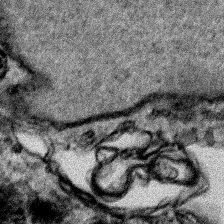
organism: Human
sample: Mitochondria in HCT116 cells